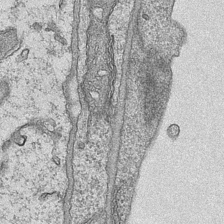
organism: Mouse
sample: CA1 Hippocampus